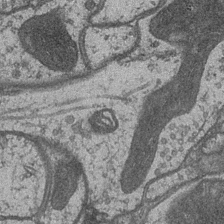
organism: Drosophila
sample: Optic medulla